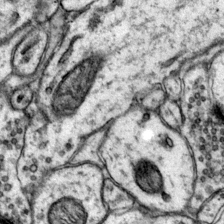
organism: Mouse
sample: Primary visual cortex